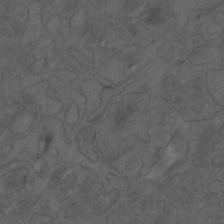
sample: Trachea